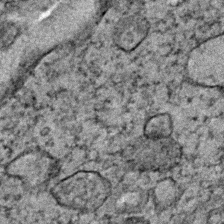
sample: Trachea